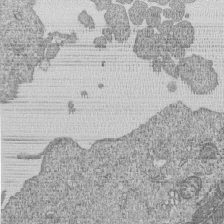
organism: Human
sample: MDA-MB-231 cells